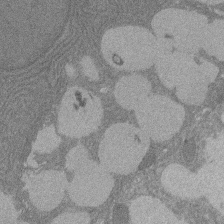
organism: Rat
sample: Salivary granule